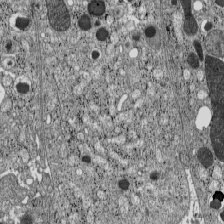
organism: C57BL Mouse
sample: Pancreatic islet